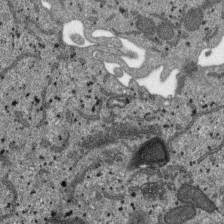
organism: Human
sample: Lung epithelial cells infected with SARS-CoV-2